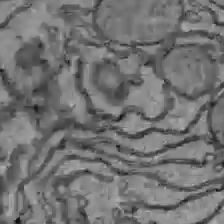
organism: C57BL Mouse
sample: Liver